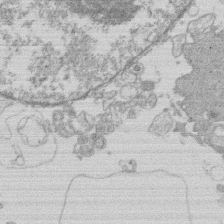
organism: Human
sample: Macrophage cells